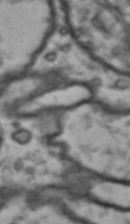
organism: Drosophila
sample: Brain